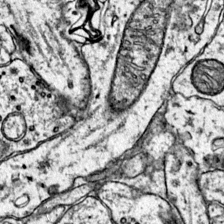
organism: Mouse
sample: Primary visual cortex